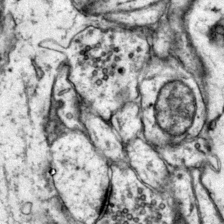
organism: Mouse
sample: Primary visual cortex